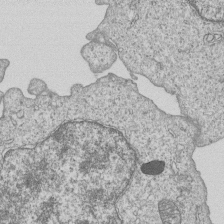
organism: Human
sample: MDA-MB-231 cells